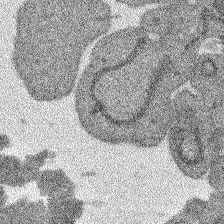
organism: Human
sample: HeLa cells